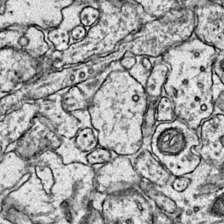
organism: Mouse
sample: Primary visual cortex